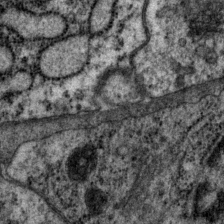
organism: P. pacificus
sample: Pharynx